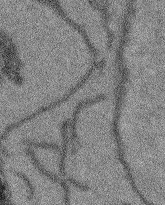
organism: Arabidopsis thaliana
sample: Root tip